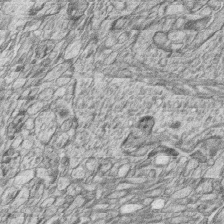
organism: Zebrafish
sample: synaptic ribbons in rod cells and cone cells